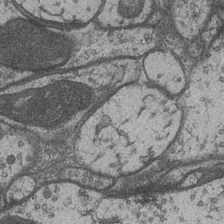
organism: Drosophila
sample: Optic medulla